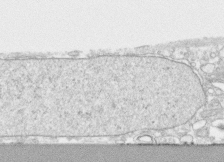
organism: Human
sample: CRL-1474